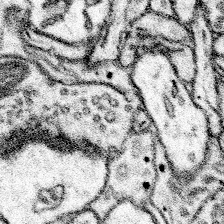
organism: Mouse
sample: Somatosensory cortex neuropil